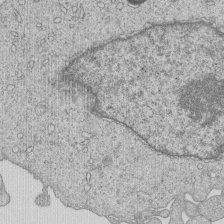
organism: Human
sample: MDA-MB-231 cells